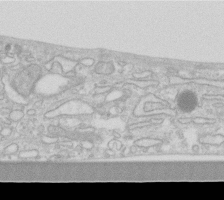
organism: Human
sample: Fibroblast cells